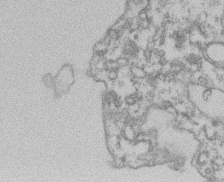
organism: Mouse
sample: T cell stromal cell synapse